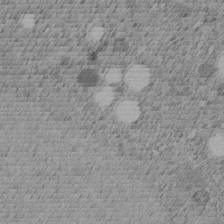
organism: C. elegans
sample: C. elegans embryo early stage